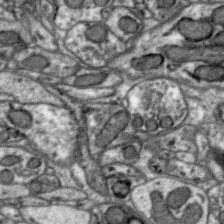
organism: Zebra finch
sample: Brain